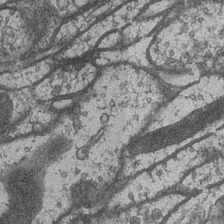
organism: Drosophila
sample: Optic medulla